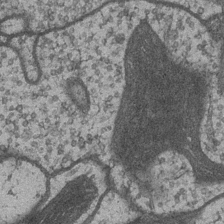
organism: Drosophila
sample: Optic medulla